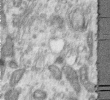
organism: Human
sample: Centriole in RPE cells